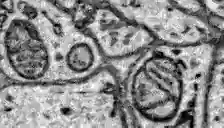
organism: Zebrafish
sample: Brain